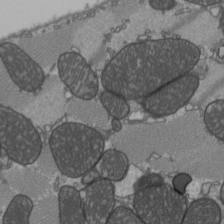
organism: C57BL Mouse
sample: Heart